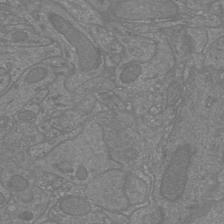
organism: Mouse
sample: Cortical neurons